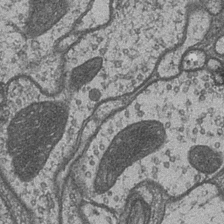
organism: Drosophila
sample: Optic medulla